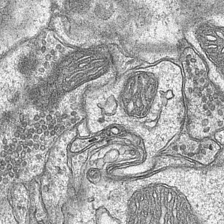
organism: Mouse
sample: CA1 Hippocampus